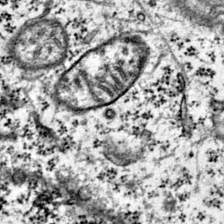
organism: Mouse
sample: Primary visual cortex